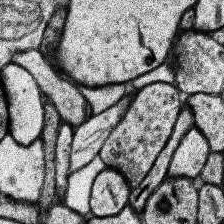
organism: Human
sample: Temporal Lobe